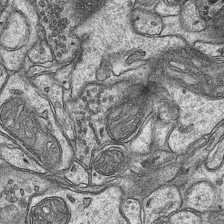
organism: Mouse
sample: CA1 Hippocampus